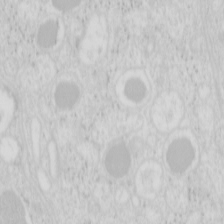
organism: Mouse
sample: Pancreas